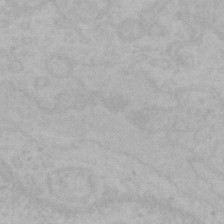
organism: Mouse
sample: Choroid plexus